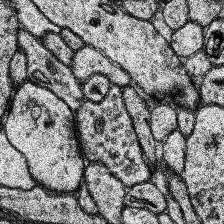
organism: Human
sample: Temporal Lobe